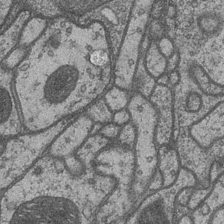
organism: Drosophila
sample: Optic medulla